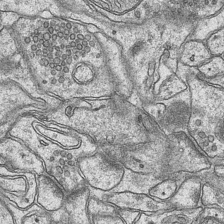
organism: Mouse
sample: CA1 Hippocampus